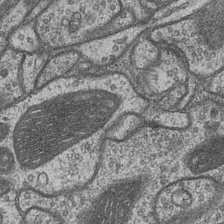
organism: Drosophila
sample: Optic medulla